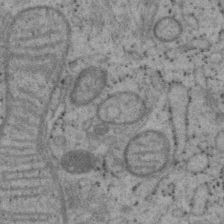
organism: Human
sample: HeLa cells